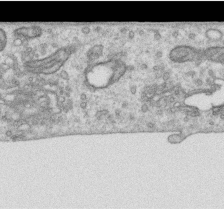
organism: Human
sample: Centriole in RPE cells